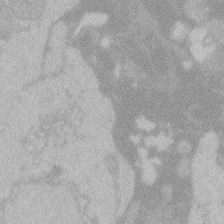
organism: Zebrafish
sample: Macrophage infected with Toxoplasma gondii